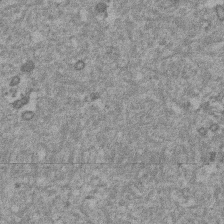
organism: Mouse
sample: Dividing mouse embryo 1 cell stage